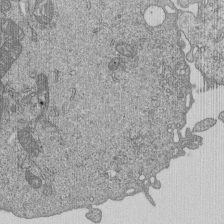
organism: Human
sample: MDA-MB-231 cells